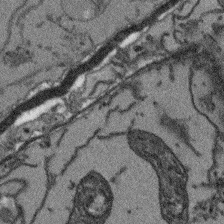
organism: Arabidopsis thaliana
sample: Root tip